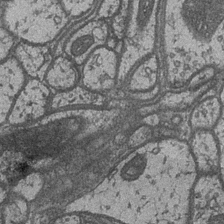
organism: Drosophila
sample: Optic medulla